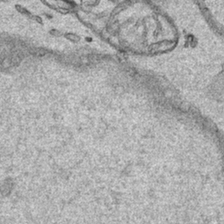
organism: Human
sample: Mitochondria in HCT116 cells